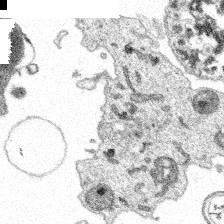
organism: Spongilla lacustris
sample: Multiple